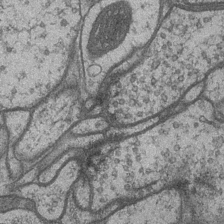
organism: Drosophila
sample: Optic medulla